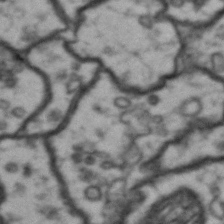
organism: Drosophila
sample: Brain